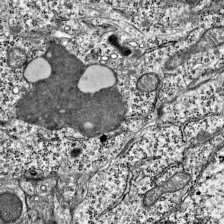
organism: Mouse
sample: Visual Cortex